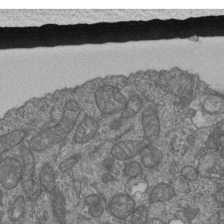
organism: Human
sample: Retinal organoid Rod and Cone cells